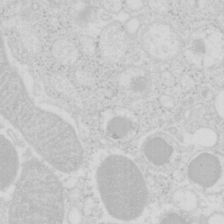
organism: Mouse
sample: Pancreas